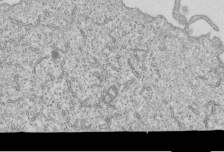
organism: Human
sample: MDA-MB-231 cells